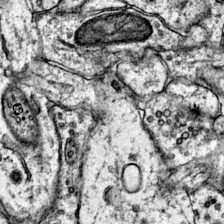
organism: Mouse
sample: Primary visual cortex